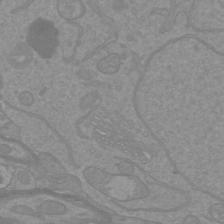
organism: Mouse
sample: Cortical neurons